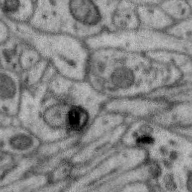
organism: Zebra finch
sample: Brain